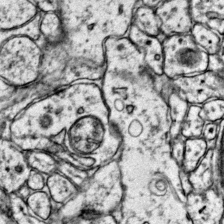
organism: Mouse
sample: Primary visual cortex